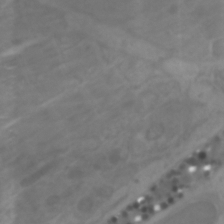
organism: Zebrafish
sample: Zebrafish embryo